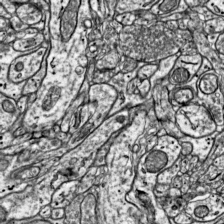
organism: Mouse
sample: Visual Cortex